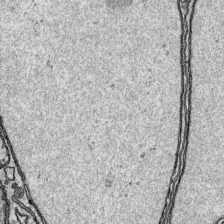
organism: Platynereis dumerilii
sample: Parapodia